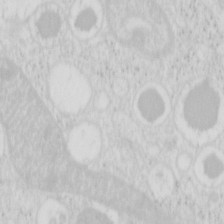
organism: Mouse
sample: Pancreas